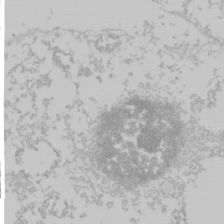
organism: Mouse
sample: Cancer cell death in ED-1 cells